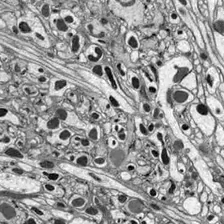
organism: Drosophila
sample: Optic lobe